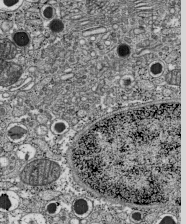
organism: C57BL Mouse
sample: Pancreatic islet